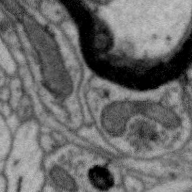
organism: Zebra finch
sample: Brain